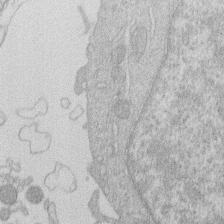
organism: Human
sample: Macrophage cells